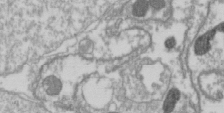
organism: Drosophila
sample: Cell division; meiosis; drosophila spermatocytes